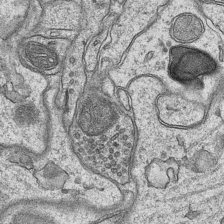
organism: Mouse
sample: CA1 Hippocampus